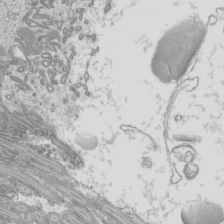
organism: Mouse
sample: Cilia; mouse epididymis